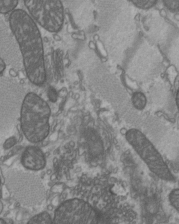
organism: C57BL Mouse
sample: Heart